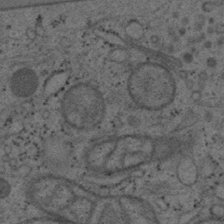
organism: Human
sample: HeLa cells